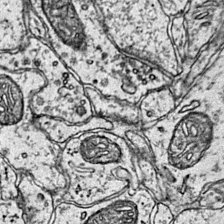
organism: Mouse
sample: Primary visual cortex